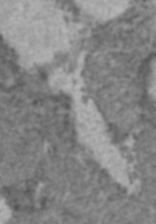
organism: C57BL Mouse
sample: Heart